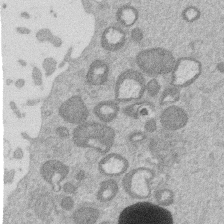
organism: Mouse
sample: Dividing mouse embryo 1 cell stage